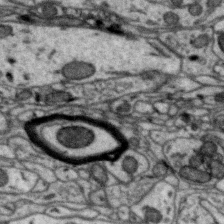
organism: Zebra finch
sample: Brain